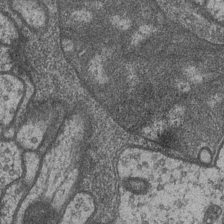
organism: Drosophila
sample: Optic medulla